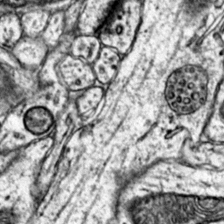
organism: Mouse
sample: Primary visual cortex